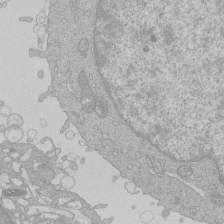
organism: Human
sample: Macrophage cells